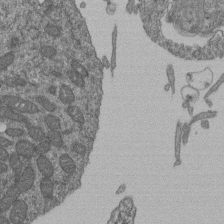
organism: Human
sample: Retinal organoid Rod and Cone cells